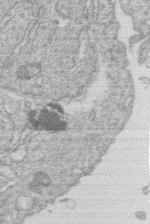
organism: Human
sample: Macrophage cells